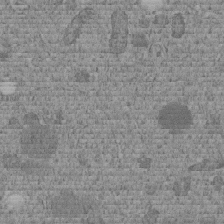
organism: C. elegans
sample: C. elegans embryo early stage